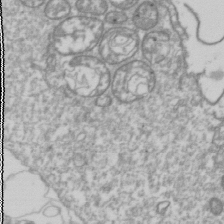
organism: Drosophila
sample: Cell division; meiosis; drosophila spermatocytes